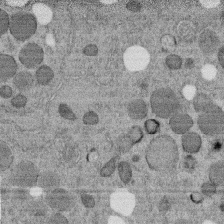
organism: C. elegans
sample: C. elegans embryo early stage